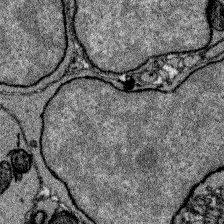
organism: Zebrafish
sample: Larval olfactory bulb